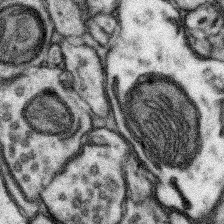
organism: Mouse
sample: Somatosensory cortex neuropil